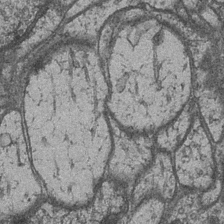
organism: Drosophila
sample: Optic medulla